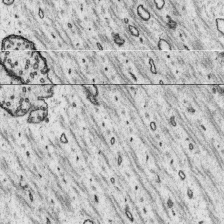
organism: Platynereis dumerilii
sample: Parapodia